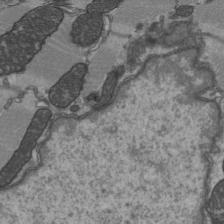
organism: C57BL Mouse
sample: Heart